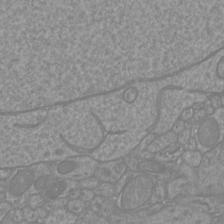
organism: Mouse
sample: Cortical neurons